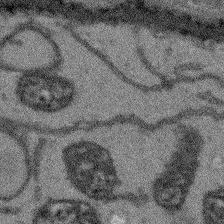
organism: Arabidopsis thaliana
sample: Root tip